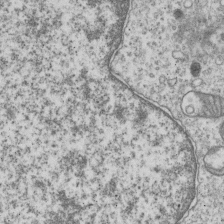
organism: Human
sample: MDA-MB-231 cells